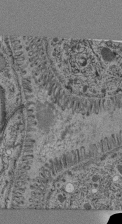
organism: C. elegans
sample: C. elegans pharynx